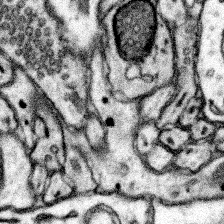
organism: Mouse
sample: Somatosensory cortex neuropil